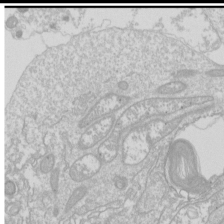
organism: Drosophila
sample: Cell division; meiosis; drosophila spermatocytes